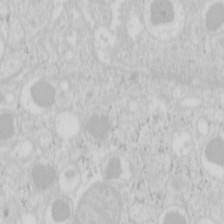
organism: Mouse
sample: Pancreas